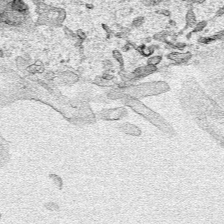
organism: Human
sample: Mitochondria in HCT116 cells